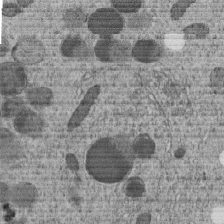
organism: C. elegans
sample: C. elegans embryo early stage